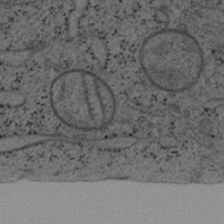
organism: Human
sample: HeLa cells